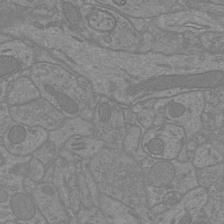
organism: Mouse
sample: Cortical neurons